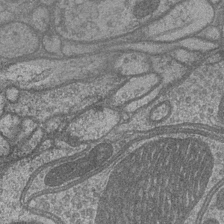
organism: Drosophila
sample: Optic medulla